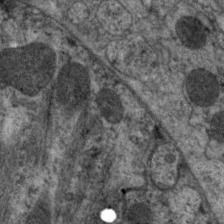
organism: C. elegans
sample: Pharynx